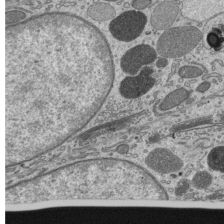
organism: Mouse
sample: Mouse epididymis efferent ductule cilia